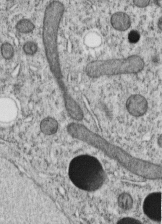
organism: C. elegans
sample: C. elegans embryo early stage